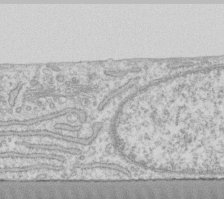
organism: Human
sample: Fibroblast cells